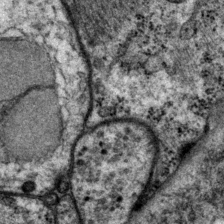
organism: P. pacificus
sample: Pharynx